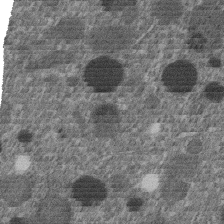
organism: C. elegans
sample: C. elegans embryo early stage